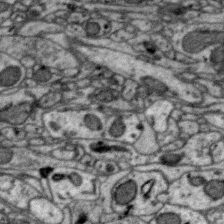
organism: Zebra finch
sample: Brain